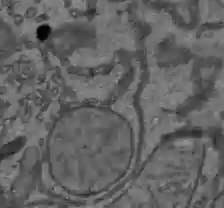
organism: C57BL Mouse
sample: Liver